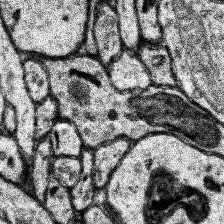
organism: Human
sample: Temporal Lobe